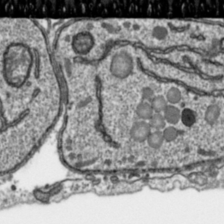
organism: Toxoplasma gondii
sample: Parasites in a vacuole inside a host cell